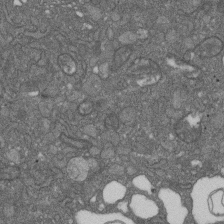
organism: Drosophila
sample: Nephrocyte